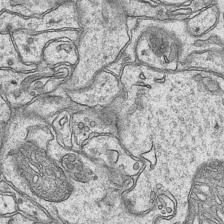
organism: Mouse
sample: CA1 Hippocampus